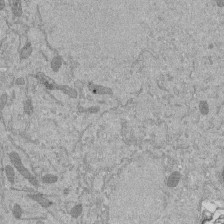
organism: Mouse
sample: ED-1 cell nuclei; centrioles